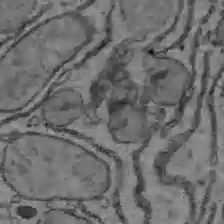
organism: C57BL Mouse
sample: Liver